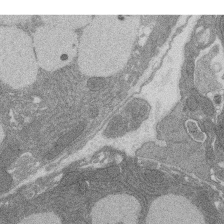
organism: Rat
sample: Salivary granule